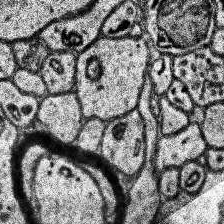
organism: Human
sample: Temporal Lobe